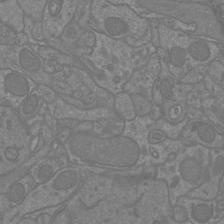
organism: Mouse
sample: Cortical neurons